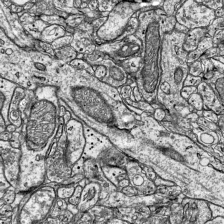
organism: Mouse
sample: Visual Cortex